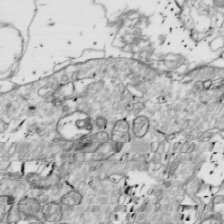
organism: Drosophila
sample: Cell division; meiosis; drosophila spermatocytes